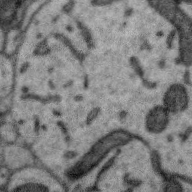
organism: Zebra finch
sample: Brain